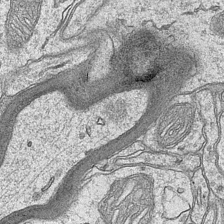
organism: Mouse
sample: CA1 Hippocampus